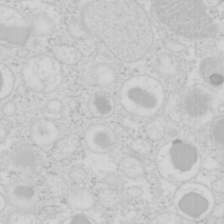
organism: Mouse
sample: Pancreas